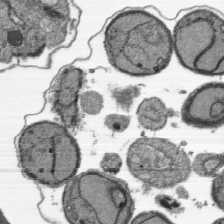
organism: Plasmodium falciparum